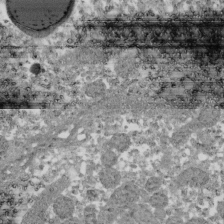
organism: Xenopus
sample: Cilia; centrioles in frog embryo cells